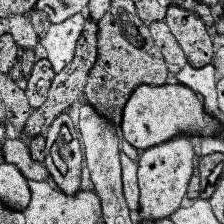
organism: Human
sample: Temporal Lobe